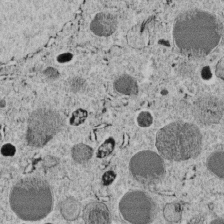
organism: C. elegans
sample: C. elegans embryo early stage